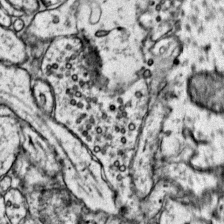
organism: Mouse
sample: Primary visual cortex